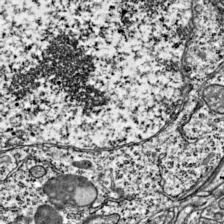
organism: Mouse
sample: Visual Cortex